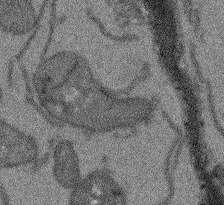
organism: Arabidopsis thaliana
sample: Root tip